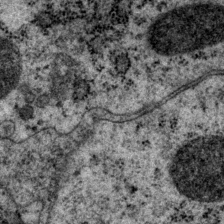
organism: P. pacificus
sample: Pharynx